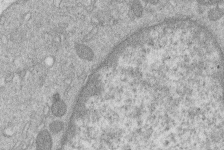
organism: Human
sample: Macrophage cells